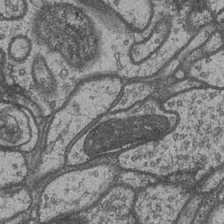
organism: Drosophila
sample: Optic medulla